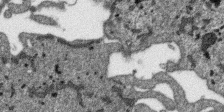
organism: Human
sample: Lung epithelial cells infected with SARS-CoV-2